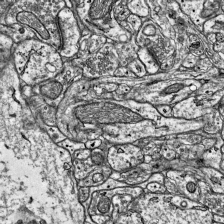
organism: Mouse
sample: Visual Cortex